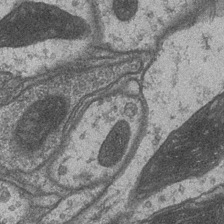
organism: Drosophila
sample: Optic medulla